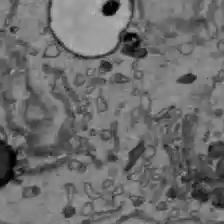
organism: C57BL Mouse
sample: Liver